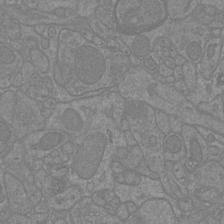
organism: Mouse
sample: Cortical neurons